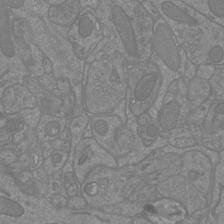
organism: Mouse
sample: Cortical neurons